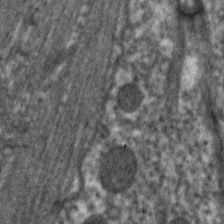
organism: C. elegans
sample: Pharynx